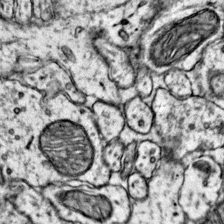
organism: Mouse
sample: Primary visual cortex